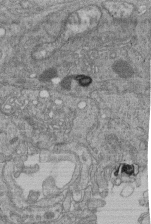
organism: Human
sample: Retinal organoid Rod and Cone cells